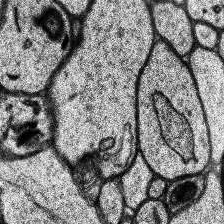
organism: Human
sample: Temporal Lobe